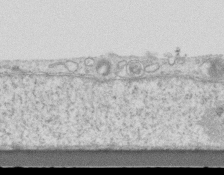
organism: Mouse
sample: Centriole in ependymal cells